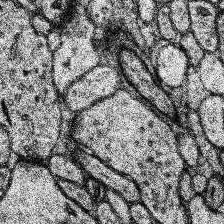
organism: Human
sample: Temporal Lobe